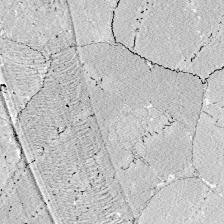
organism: Zebrafish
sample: Whole-Brain